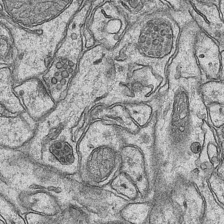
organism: Mouse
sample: CA1 Hippocampus